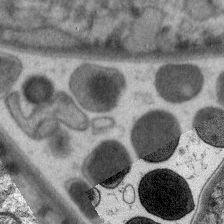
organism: C. elegans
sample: Pharynx